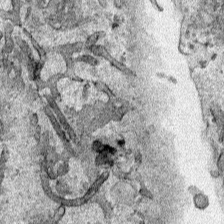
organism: Human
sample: Mitochondria in HCT116 cells